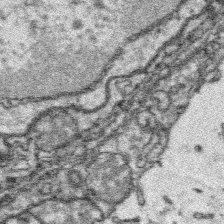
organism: Platynereis dumerilii